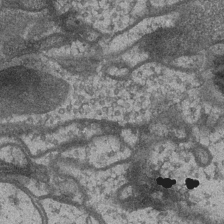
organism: Drosophila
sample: Optic medulla